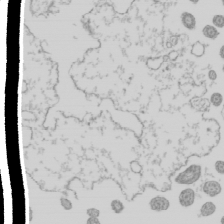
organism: Mouse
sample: Cilia; mouse epididymis